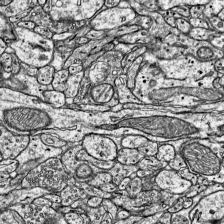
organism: Mouse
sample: Visual Cortex